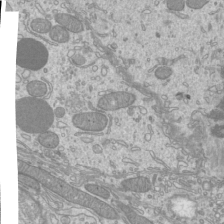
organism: Mouse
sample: Cilia; mouse epididymis